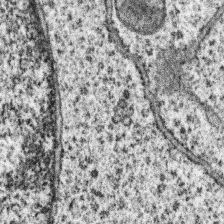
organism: Human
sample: HeLa cells